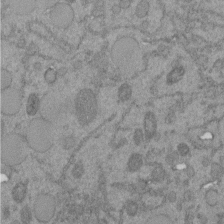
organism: C. elegans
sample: C. elegans embryo early stage